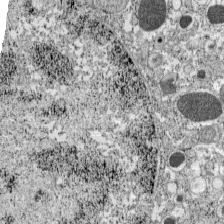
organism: C57BL Mouse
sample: Pancreatic islet